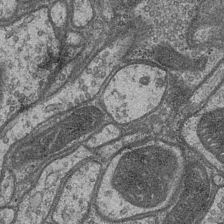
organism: Drosophila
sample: Optic medulla